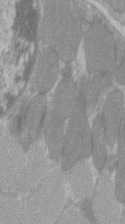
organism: C57BL Mouse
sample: Tibialis anterior muscle cell